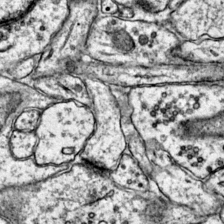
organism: Mouse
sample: Primary visual cortex